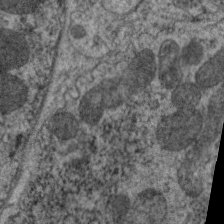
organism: C. elegans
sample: Pharynx